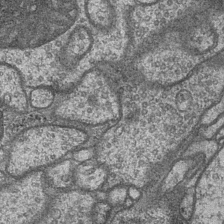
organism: Drosophila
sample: Optic medulla